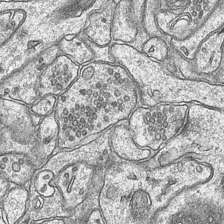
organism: Mouse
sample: CA1 Hippocampus